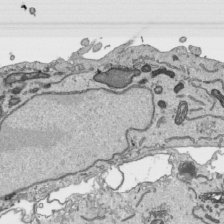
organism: Human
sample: Mitochondria in HCT116 cells